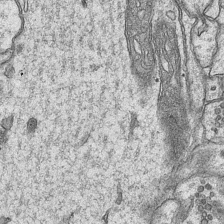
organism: Mouse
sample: CA1 Hippocampus